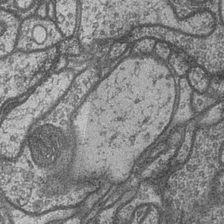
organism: Drosophila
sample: Optic medulla